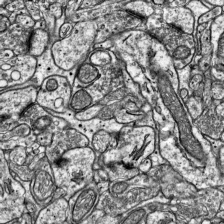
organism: Mouse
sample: Visual Cortex